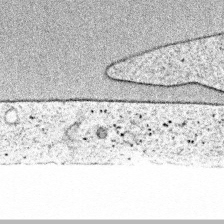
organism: Human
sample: HeLa cells